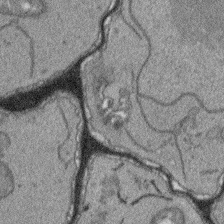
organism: Arabidopsis thaliana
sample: Root tip